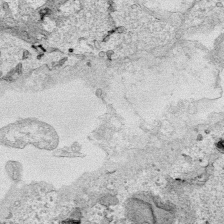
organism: Human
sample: Mitochondria in HCT116 cells